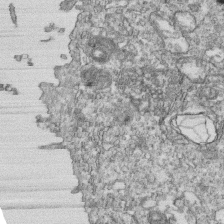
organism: Human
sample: HeLa cell HIV synapse